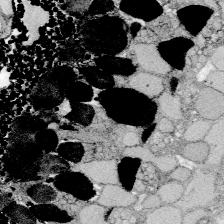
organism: Zebrafish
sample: Whole-Brain